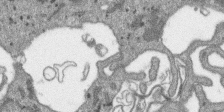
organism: Human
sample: Lung epithelial cells infected with SARS-CoV-2